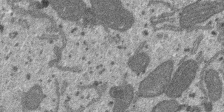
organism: Human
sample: Lung epithelial cells infected with SARS-CoV-2